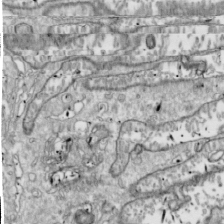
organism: Drosophila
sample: Cell division; meiosis; drosophila spermatocytes